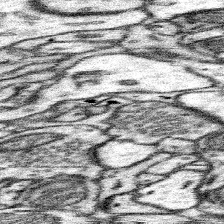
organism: Mouse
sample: Somatosensory cortex neuropil